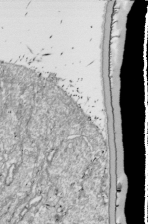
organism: Drosophila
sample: Cell division; meiosis; drosophila spermatocytes